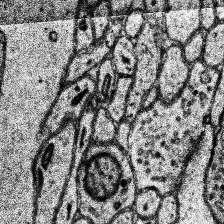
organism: Human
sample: Temporal Lobe